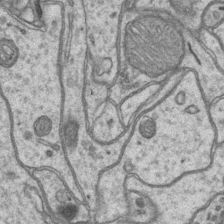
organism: Mouse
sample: CA1 Hippocampus